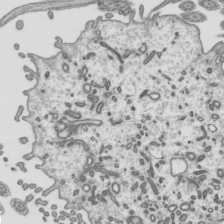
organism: Mouse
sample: Mouse epididymis efferent ductule cilia